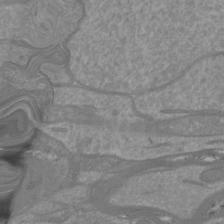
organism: Mouse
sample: Cortical neurons